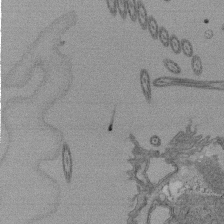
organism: Tetrahymena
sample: Cilia in tetrahymena